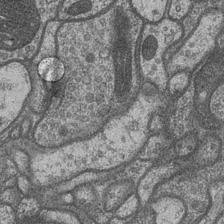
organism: Drosophila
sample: Optic medulla